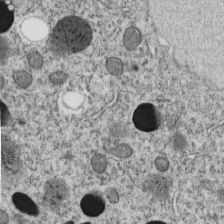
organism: C. elegans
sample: C. elegans embryo early stage